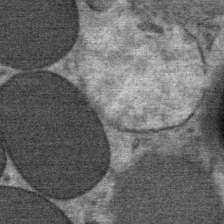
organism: Mouse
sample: Mouse Salivary gland